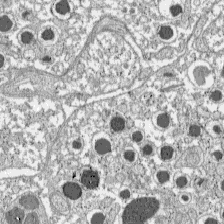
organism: C57BL Mouse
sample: Pancreatic islet